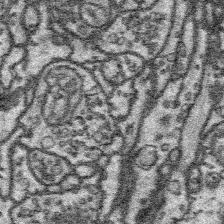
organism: Platynereis dumerilii